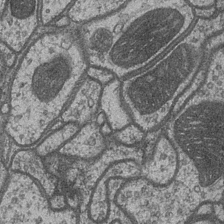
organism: Drosophila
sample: Optic medulla